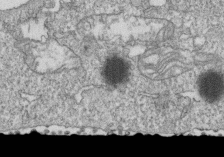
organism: Human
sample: HeLa cell HIV synapse